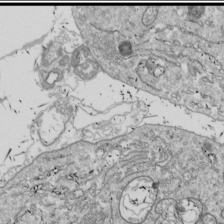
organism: Drosophila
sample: Cell division; meiosis; drosophila spermatocytes